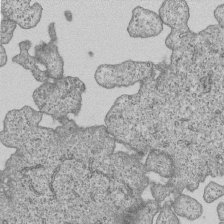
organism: Human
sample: MDA-MB-231 cells